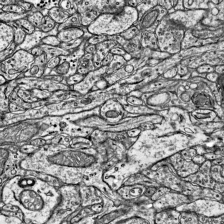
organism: Mouse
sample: Visual Cortex